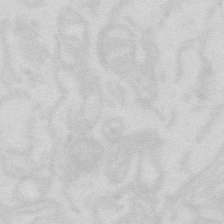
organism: Human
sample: HeLa cells